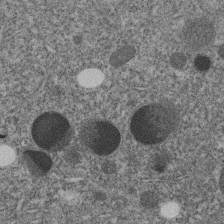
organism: C. elegans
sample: C. elegans embryo early stage